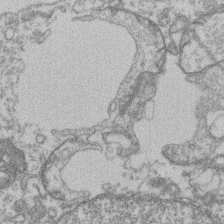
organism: Mouse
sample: T cell stromal cell synapse